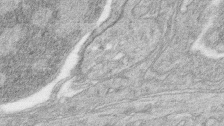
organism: Zebrafish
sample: synaptic ribbons in rod cells and cone cells